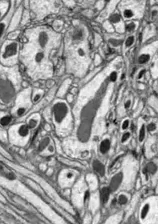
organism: Drosophila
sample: Optic lobe